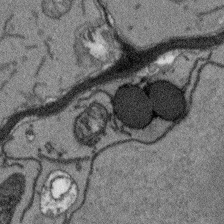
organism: Arabidopsis thaliana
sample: Root tip